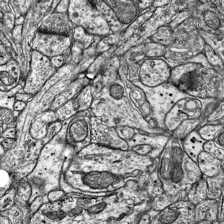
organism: Mouse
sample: Visual Cortex